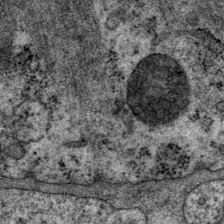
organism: P. pacificus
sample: Pharynx